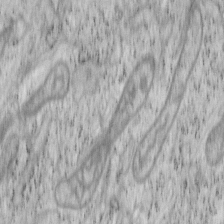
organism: Human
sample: HeLa cells